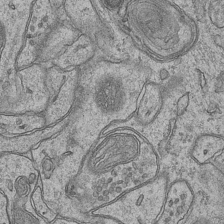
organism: Mouse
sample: CA1 Hippocampus